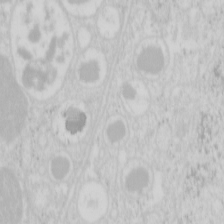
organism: Mouse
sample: Pancreas